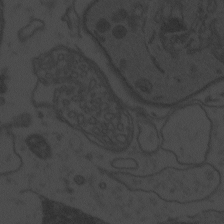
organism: Zebrafish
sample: Macrophage infected with Toxoplasma gondii